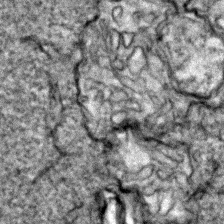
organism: Zebrafish